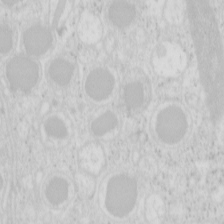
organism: Mouse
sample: Pancreas